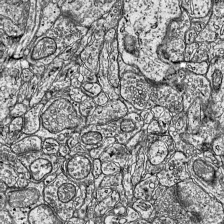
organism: Mouse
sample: Visual Cortex